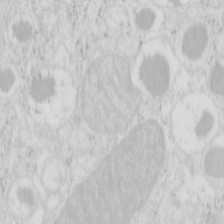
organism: Mouse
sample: Pancreas